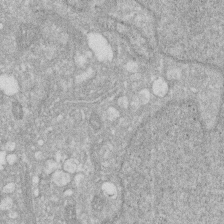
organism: Human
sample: HIV infected U937 cells